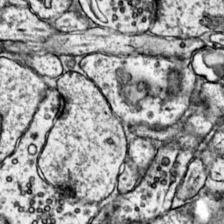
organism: Mouse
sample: Primary visual cortex